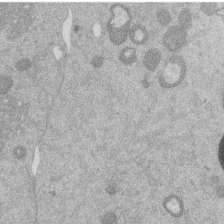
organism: Mouse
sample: Dividing mouse embryo 1 cell stage